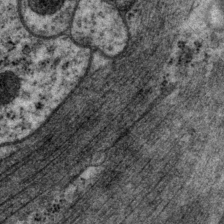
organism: P. pacificus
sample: Pharynx